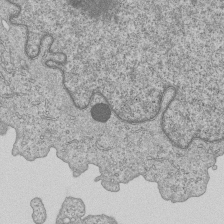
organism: Human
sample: MDA-MB-231 cells